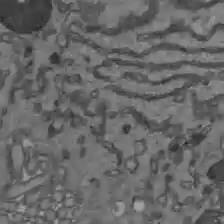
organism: C57BL Mouse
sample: Liver